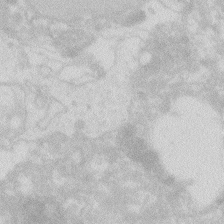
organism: Zebrafish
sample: Macrophage